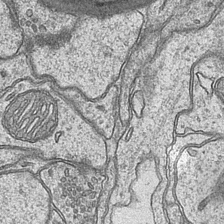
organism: Mouse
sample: CA1 Hippocampus